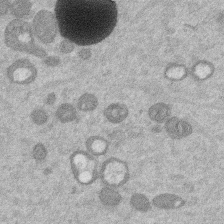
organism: Mouse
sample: Dividing mouse embryo 1 cell stage